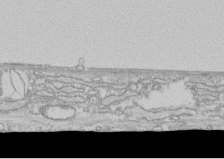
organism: Human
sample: CRL-1474